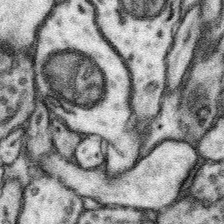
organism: Mouse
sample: Somatosensory cortex neuropil